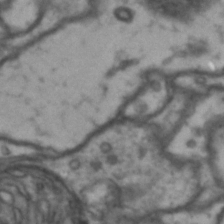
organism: Drosophila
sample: Brain